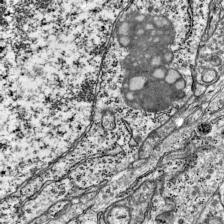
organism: Mouse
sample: Visual Cortex